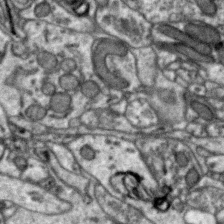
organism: Zebra finch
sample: Brain